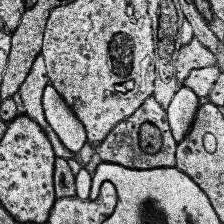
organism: Human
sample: Temporal Lobe